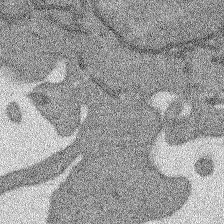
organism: Human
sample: HeLa cells